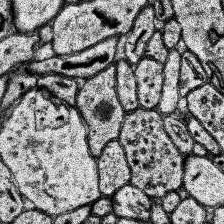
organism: Human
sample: Temporal Lobe